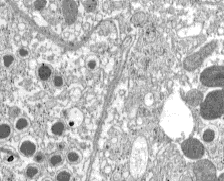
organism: C57BL Mouse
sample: Pancreatic islet